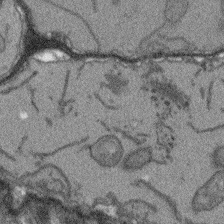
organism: Arabidopsis thaliana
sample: Root tip